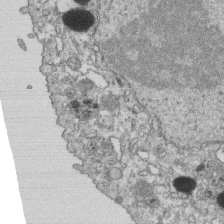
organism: Human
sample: HeLa cell HIV synapse